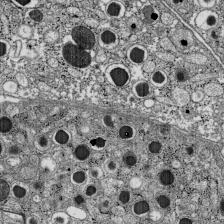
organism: C57BL Mouse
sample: Pancreatic islet